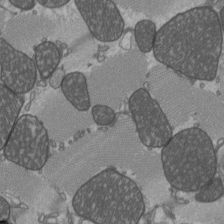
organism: C57BL Mouse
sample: Heart